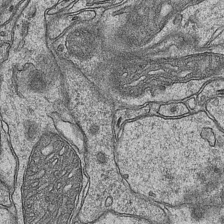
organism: Mouse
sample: CA1 Hippocampus